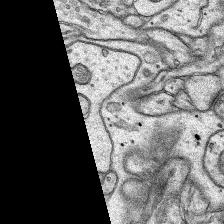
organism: Rat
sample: Hippocampus